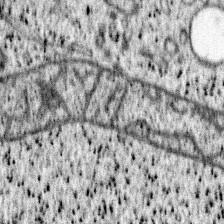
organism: Human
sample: HeLa cells